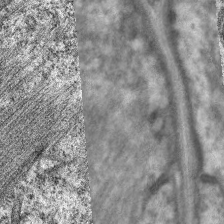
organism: C. elegans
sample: Pharynx